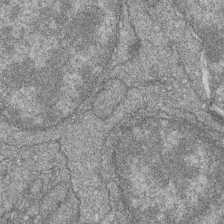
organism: Zebrafish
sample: Cilia; retinal pigment epithelium